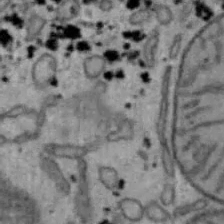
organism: Mouse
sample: Liver